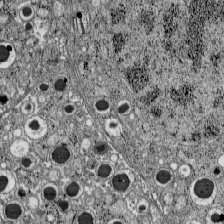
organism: C57BL Mouse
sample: Pancreatic islet